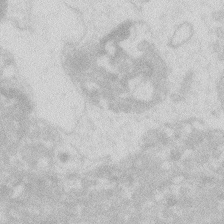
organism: Zebrafish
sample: Macrophage